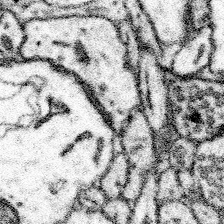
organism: Mouse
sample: Somatosensory cortex neuropil